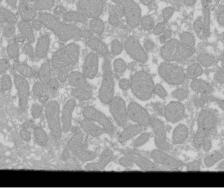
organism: Xenopus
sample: Cilia; centrioles in frog embryo cells